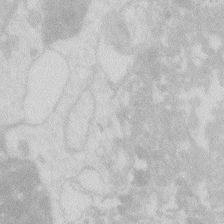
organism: Zebrafish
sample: Macrophage